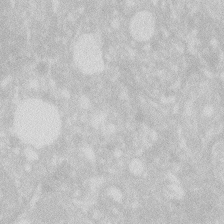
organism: Zebrafish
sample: Macrophage